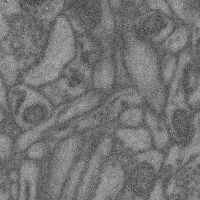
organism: Mouse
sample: Cerebral cortex